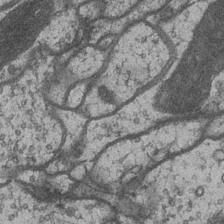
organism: Drosophila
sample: Optic medulla